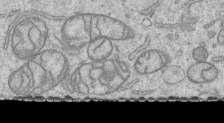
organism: Human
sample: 1205lu cells